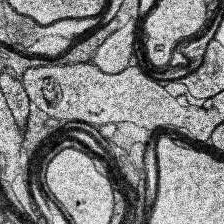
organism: Human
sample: Temporal Lobe